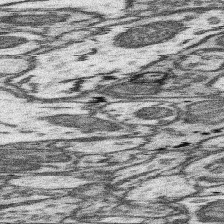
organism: Mouse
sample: Somatosensory cortex neuropil